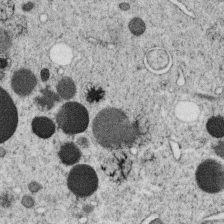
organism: C. elegans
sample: C. elegans oocyte; sperm cells